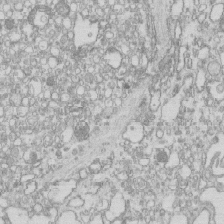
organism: Mouse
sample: Macrophages